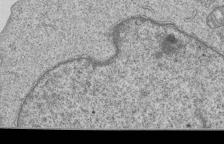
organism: Human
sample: MDA-MB-231 cells